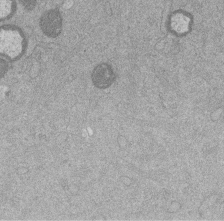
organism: Mouse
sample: Dividing mouse embryo 1 cell stage